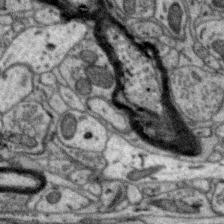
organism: Zebra finch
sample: Brain